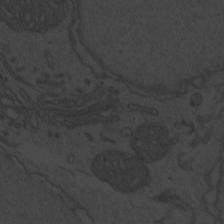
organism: Zebrafish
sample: Macrophage infected with Toxoplasma gondii